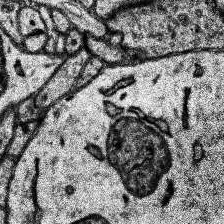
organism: Human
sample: Temporal Lobe